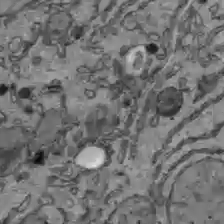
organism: C57BL Mouse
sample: Liver